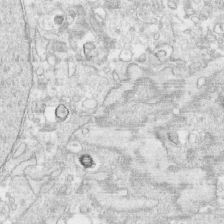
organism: Human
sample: CRL-1474